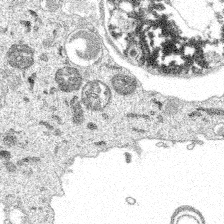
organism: Spongilla lacustris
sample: Multiple